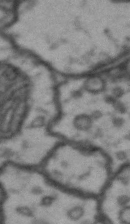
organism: Drosophila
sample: Brain